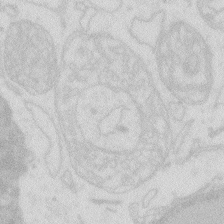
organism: Zebrafish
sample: Macrophage